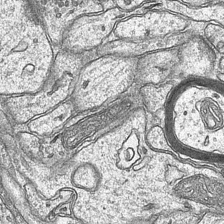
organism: Mouse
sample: CA1 Hippocampus